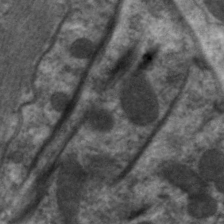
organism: C. elegans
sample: Pharynx